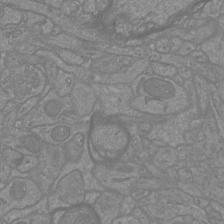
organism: Mouse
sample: Cortical neurons